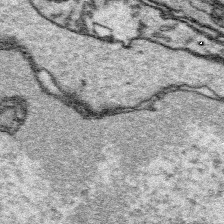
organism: Platynereis dumerilii